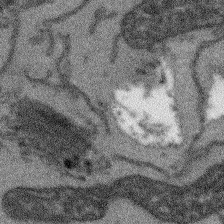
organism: Arabidopsis thaliana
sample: Root tip